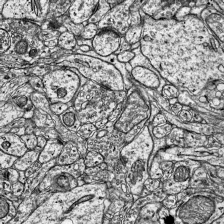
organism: Mouse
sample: Visual Cortex